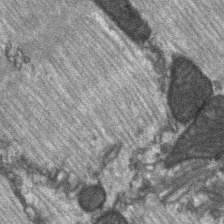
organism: C57BL Mouse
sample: Soleus